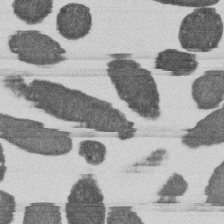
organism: E. coli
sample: Bacterial nucleoid